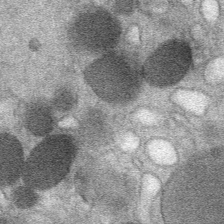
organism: Mouse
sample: Mouse Salivary gland